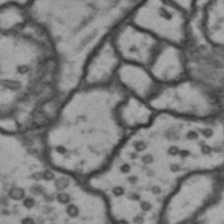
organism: Drosophila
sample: Brain